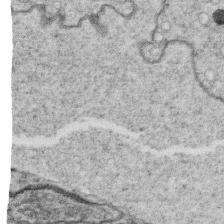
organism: C. elegans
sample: C. elegans oocyte; sperm cells